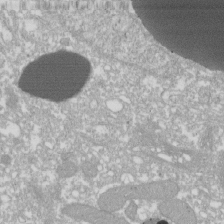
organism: Xenopus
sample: Cilia; centrioles in frog embryo cells